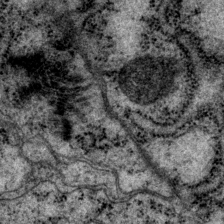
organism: P. pacificus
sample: Pharynx